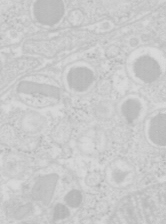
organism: Mouse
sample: Pancreas